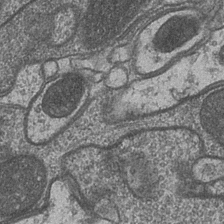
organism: Drosophila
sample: Optic medulla